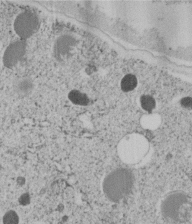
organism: C. elegans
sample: C. elegans embryo early stage